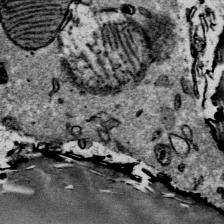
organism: Mouse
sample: Mouse Salivary gland